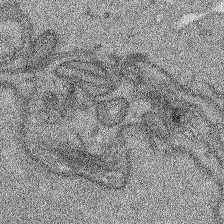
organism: Human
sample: HeLa cells